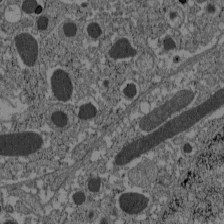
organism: C57BL Mouse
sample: Pancreatic islet